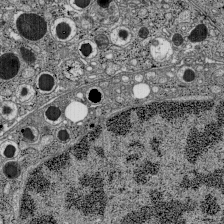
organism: C57BL Mouse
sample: Pancreatic islet